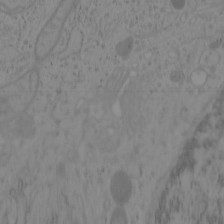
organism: Human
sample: HeLa cells